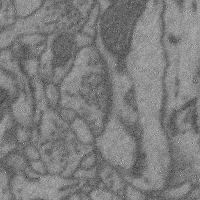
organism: Mouse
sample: Cerebral cortex